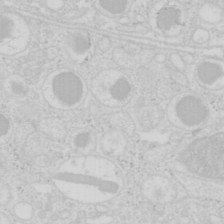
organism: Mouse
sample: Pancreas